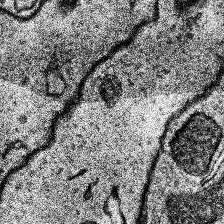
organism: Human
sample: Temporal Lobe